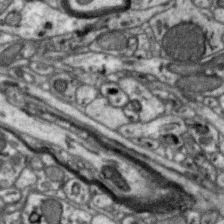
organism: Zebra finch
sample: Brain